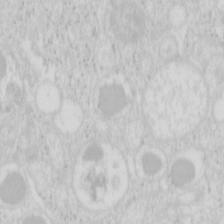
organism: Mouse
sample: Pancreas